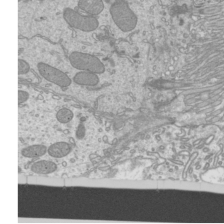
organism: Mouse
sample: Cilia; mouse epididymis